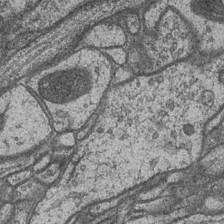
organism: Drosophila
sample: Optic medulla